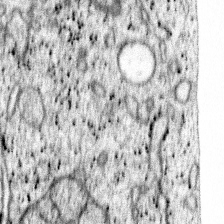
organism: Human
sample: HeLa cells